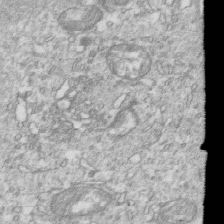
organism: Mouse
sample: Activated OT-1 CD8+ T cells